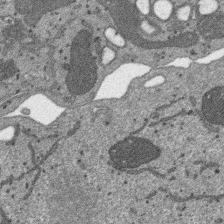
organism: Human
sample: Lung epithelial cells infected with SARS-CoV-2